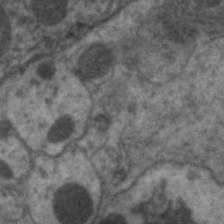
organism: C. elegans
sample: Pharynx